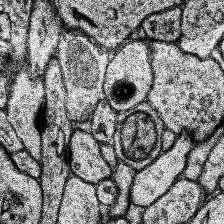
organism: Human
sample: Temporal Lobe